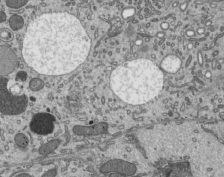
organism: Mouse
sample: Mouse epididymis efferent ductule cilia